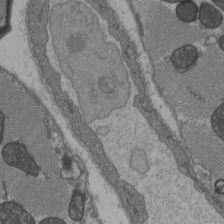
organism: C57BL Mouse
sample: Heart